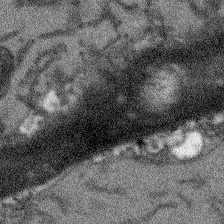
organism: Arabidopsis thaliana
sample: Root tip